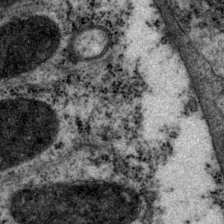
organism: P. pacificus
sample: Pharynx